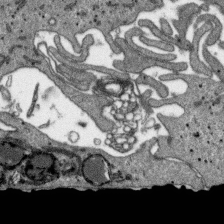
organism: Human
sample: Lung epithelial cells, uninfected (mock) control